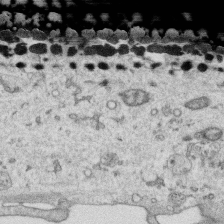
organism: Human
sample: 1205lu cells